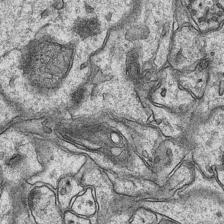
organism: Mouse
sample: CA1 Hippocampus